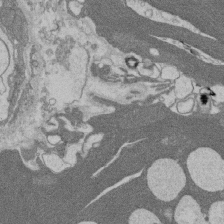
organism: Rat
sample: Salivary granule